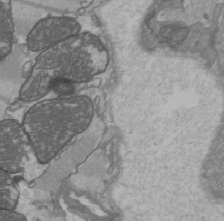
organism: C57BL Mouse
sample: Heart